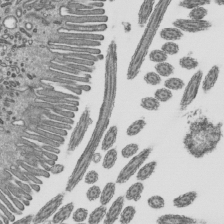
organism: Mouse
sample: Mouse epididymis efferent ductule cilia